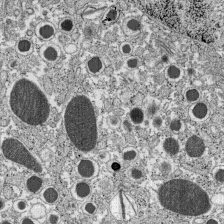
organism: C57BL Mouse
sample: Pancreatic islet